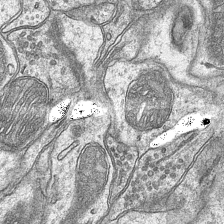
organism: Mouse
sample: CA1 Hippocampus